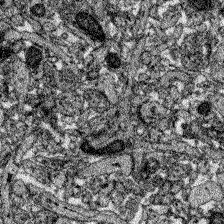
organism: Zebrafish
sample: Larval olfactory bulb